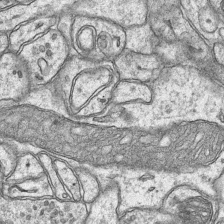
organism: Mouse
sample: CA1 Hippocampus